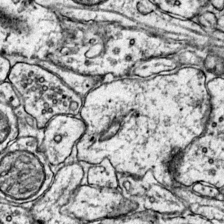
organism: Mouse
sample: Primary visual cortex